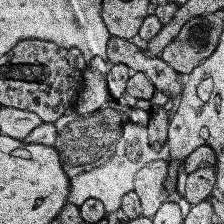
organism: Human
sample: Temporal Lobe